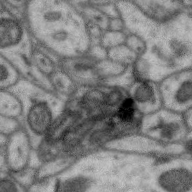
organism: Zebra finch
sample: Brain